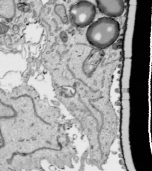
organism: Human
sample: Mitochondria in HCT116 cells